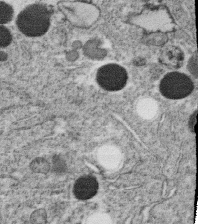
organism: C. elegans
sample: C. elegans oocyte; sperm cells